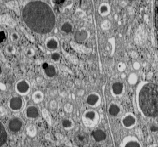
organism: C57BL Mouse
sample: Pancreatic islet